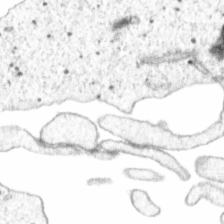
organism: Human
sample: HeLa cells